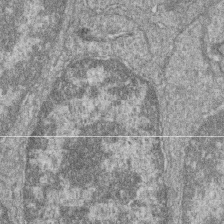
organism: Zebrafish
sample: Cilia; retinal pigment epithelium